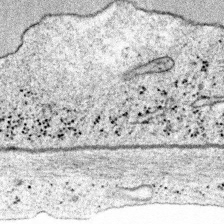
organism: Human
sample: HeLa cells